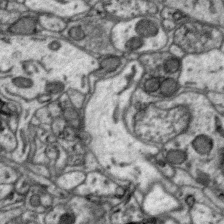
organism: Zebra finch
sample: Brain